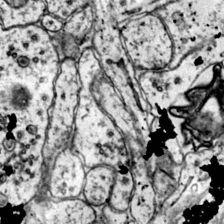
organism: Mouse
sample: Primary visual cortex